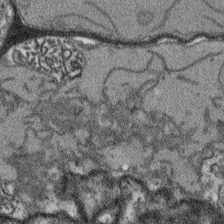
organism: Arabidopsis thaliana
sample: Root tip